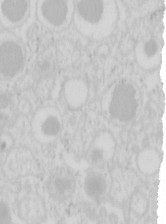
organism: Mouse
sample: Pancreas